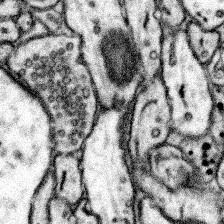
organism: Mouse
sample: Somatosensory cortex neuropil